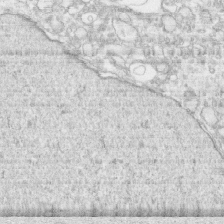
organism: Human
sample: CRL-1474